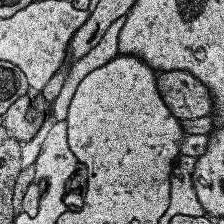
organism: Human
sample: Temporal Lobe